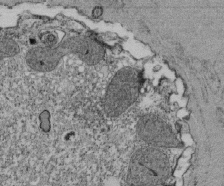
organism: Tetrahymena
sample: Cilia in tetrahymena